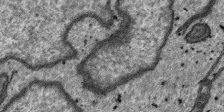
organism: Human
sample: Lung epithelial cells, uninfected (mock) control